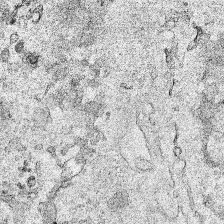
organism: Human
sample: Mitochondria in HCT116 cells